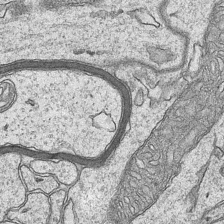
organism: Mouse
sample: CA1 Hippocampus